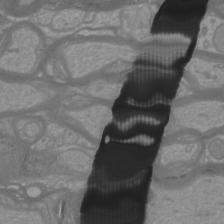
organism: Mouse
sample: Cortical neurons